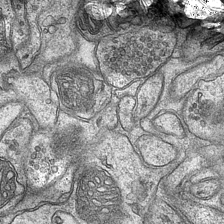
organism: Mouse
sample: CA1 Hippocampus